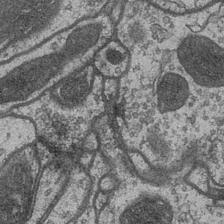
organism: Drosophila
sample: Optic medulla